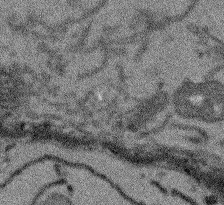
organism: Arabidopsis thaliana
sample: Root tip